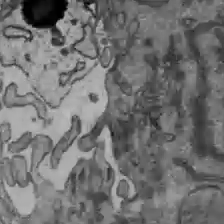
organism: C57BL Mouse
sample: Liver